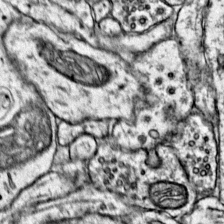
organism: Mouse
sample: Primary visual cortex